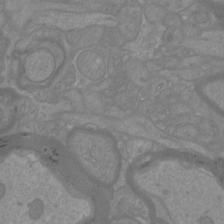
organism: Mouse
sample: Cortical neurons